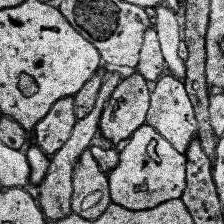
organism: Human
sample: Temporal Lobe